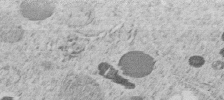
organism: C. elegans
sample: C. elegans embryo early stage